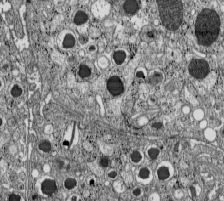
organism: C57BL Mouse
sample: Pancreatic islet